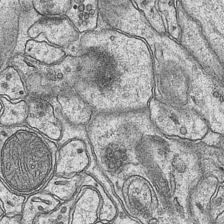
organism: Mouse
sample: CA1 Hippocampus